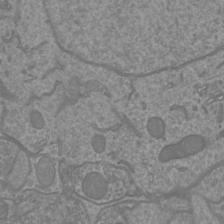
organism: Mouse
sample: Cortical neurons